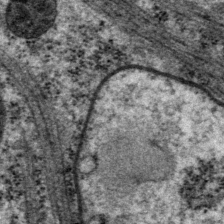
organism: P. pacificus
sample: Pharynx